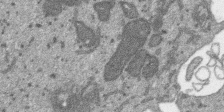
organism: Human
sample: Lung epithelial cells infected with SARS-CoV-2